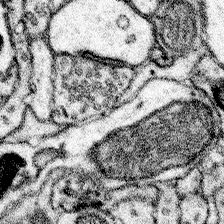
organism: Mouse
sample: Somatosensory cortex neuropil